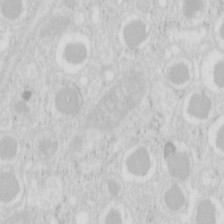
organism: Mouse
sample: Pancreas